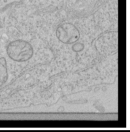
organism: Human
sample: Mitochondria in HCT116 cells